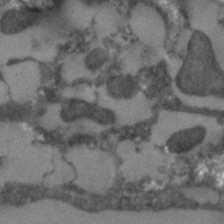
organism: C. elegans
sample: C. elegans embryo